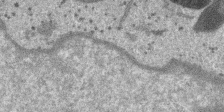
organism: Human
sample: Lung epithelial cells infected with SARS-CoV-2